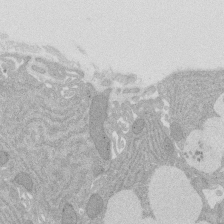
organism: Rat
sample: Salivary granule